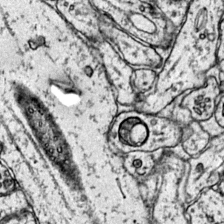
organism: Mouse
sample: Primary visual cortex